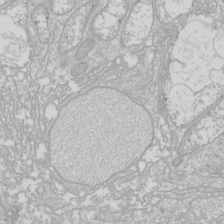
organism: Drosophila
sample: Cell division; meiosis; drosophila spermatocytes